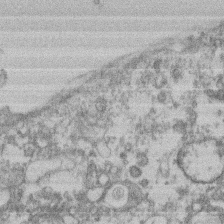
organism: Mouse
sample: T cell stromal cell synapse